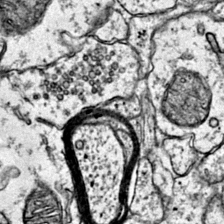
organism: Mouse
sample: Primary visual cortex